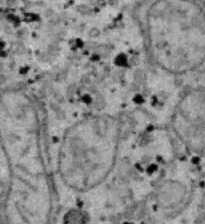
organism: Mouse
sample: Liver from an obese (ob/ob) mouse